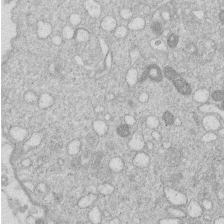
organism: Human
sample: Macrophage cells